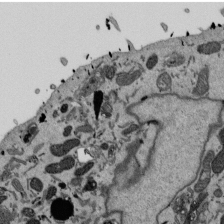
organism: Mouse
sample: ED-1 cell nuclei; centrioles